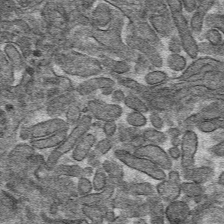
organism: Mouse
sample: Mouse hepatocytes